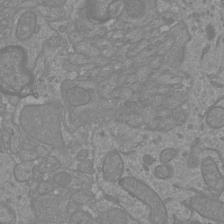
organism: Mouse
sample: Cortical neurons